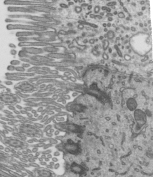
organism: Mouse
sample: Mouse epididymis efferent ductule cilia